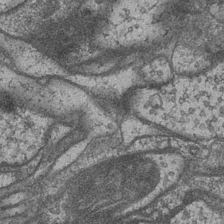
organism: Drosophila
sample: Optic medulla